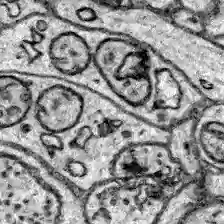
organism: Zebrafish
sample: Brain